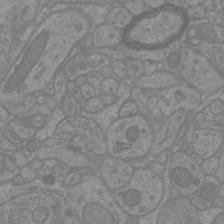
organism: Mouse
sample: Cortical neurons